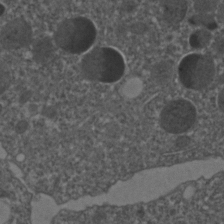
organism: C. elegans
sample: C. elegans embryo